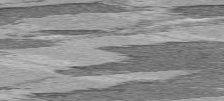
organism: C57BL Mouse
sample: Heart